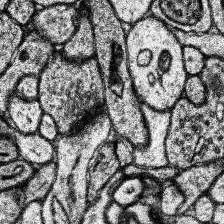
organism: Human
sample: Temporal Lobe